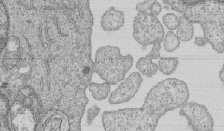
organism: Human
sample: MDA-MB-231 cells